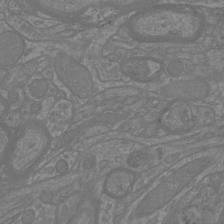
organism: Mouse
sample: Cortical neurons